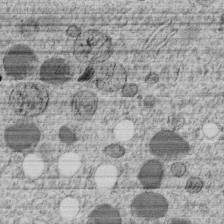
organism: C. elegans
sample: C. elegans embryo early stage